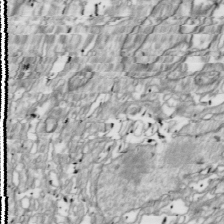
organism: Drosophila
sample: Cell division; meiosis; drosophila spermatocytes